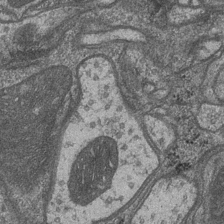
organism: Drosophila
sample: Optic medulla